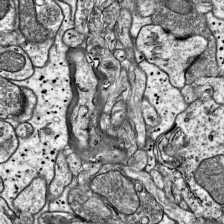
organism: Mouse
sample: Visual Cortex